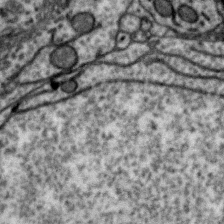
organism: Zebra finch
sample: Brain